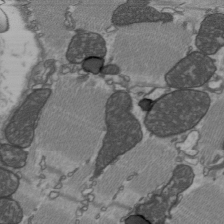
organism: C57BL Mouse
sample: Heart